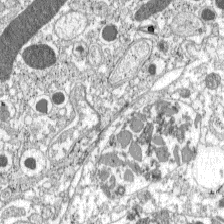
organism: C57BL Mouse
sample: Pancreatic islet